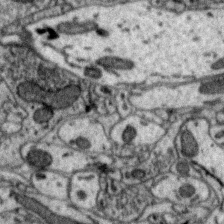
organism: Zebra finch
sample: Brain